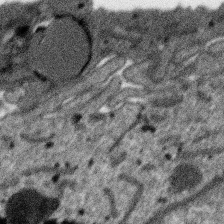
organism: Human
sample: Lung epithelial cells infected with SARS-CoV-2